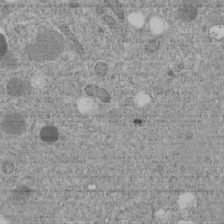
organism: C. elegans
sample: C. elegans embryo early stage